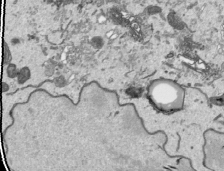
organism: Human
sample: Mitochondria in HCT116 cells